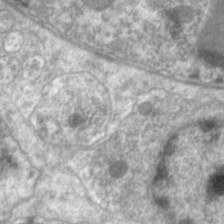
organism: C. elegans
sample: Pharynx